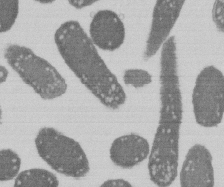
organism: E. coli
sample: Bacterial nucleoid